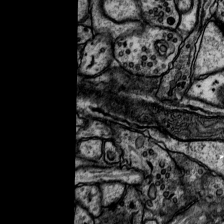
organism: Rat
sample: Hippocampus